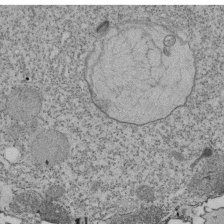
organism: Tetrahymena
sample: Cilia in tetrahymena